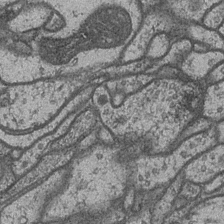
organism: Drosophila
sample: Optic medulla